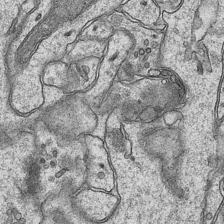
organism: Mouse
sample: CA1 Hippocampus